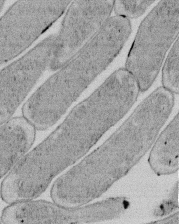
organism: E. coli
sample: Bacterial nucleoid